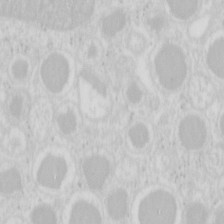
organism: Mouse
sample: Pancreas